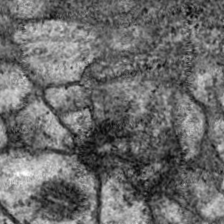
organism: Drosophila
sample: Ventral Nerve Cord